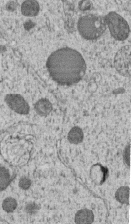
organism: C. elegans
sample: C. elegans embryo early stage